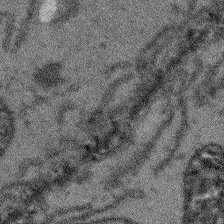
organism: Arabidopsis thaliana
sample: Root tip